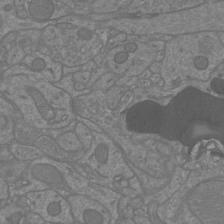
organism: Mouse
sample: Cortical neurons